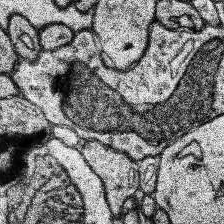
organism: Human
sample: Temporal Lobe